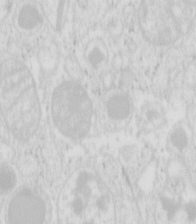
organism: Mouse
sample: Pancreas